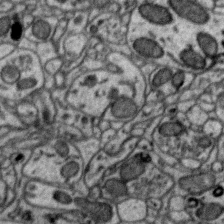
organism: Zebra finch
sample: Brain